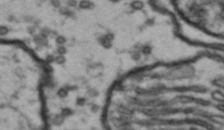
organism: Drosophila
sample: Brain